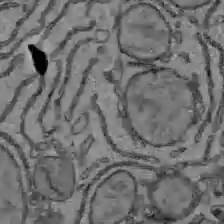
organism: C57BL Mouse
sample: Liver